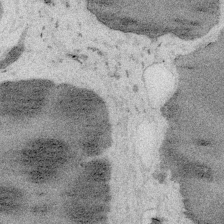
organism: Embia sp.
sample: Silk gland